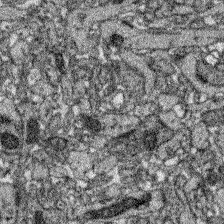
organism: Zebrafish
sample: Larval olfactory bulb